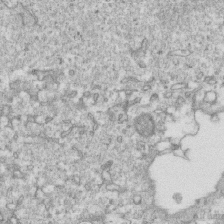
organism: Mouse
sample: Activated OT-1 CD8+ T cells